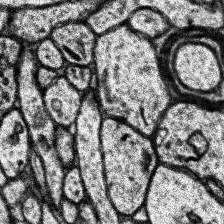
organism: Human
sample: Temporal Lobe